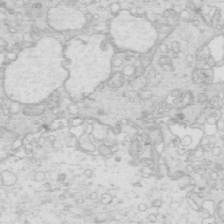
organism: Mouse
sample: Multiciliated cells